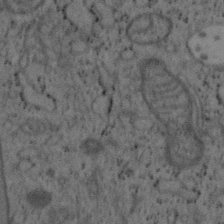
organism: Human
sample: HeLa cells